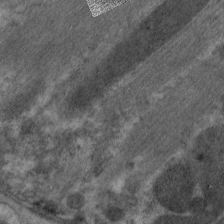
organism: C. elegans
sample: Pharynx